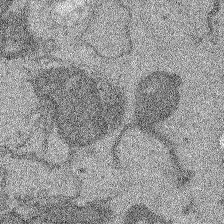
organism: Human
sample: HeLa cells